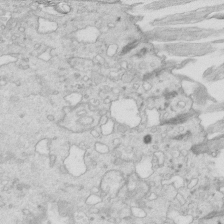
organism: Mouse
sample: Multiciliated cells